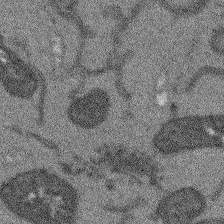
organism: Arabidopsis thaliana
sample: Root tip